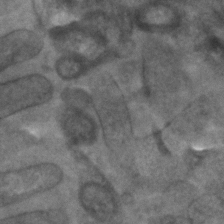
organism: C. elegans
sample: C. elegans embryo